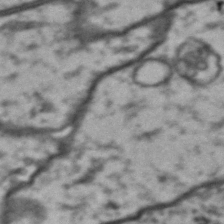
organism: Drosophila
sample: Brain